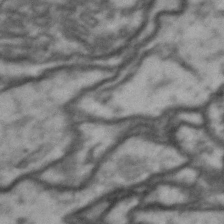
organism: Drosophila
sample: Brain